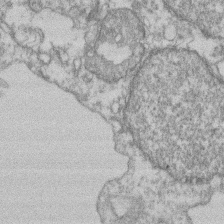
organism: Mouse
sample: T cell stromal cell synapse